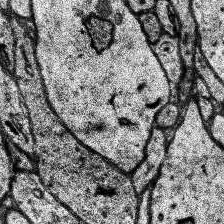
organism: Human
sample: Temporal Lobe